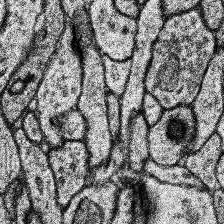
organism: Human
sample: Temporal Lobe